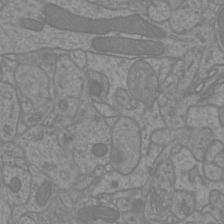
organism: Mouse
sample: Cortical neurons